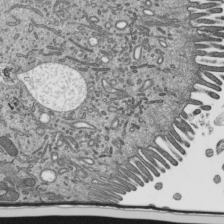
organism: Mouse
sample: Mouse epididymis efferent ductule cilia